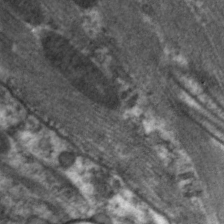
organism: C. elegans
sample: Pharynx